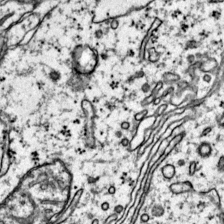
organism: Mouse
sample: Primary visual cortex